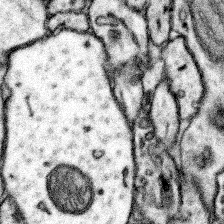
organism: Mouse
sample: Somatosensory cortex neuropil